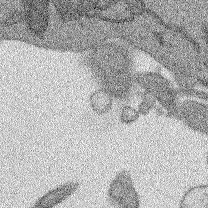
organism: Human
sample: HeLa cells